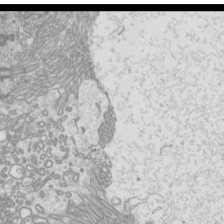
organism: Mouse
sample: Cilia; mouse epididymis